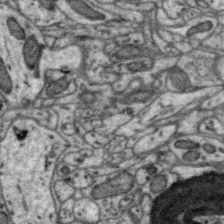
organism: Zebra finch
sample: Brain